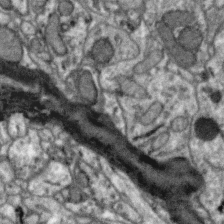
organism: Zebra finch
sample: Brain